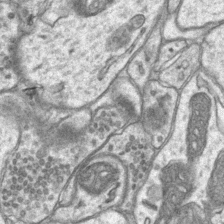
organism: Mouse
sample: CA1 Hippocampus